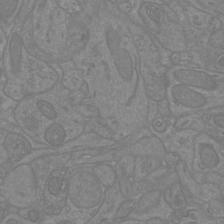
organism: Mouse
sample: Cortical neurons